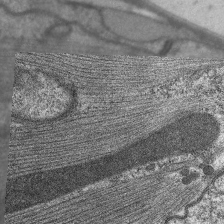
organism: C. elegans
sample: Pharynx